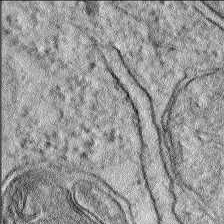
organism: Human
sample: HeLa cells